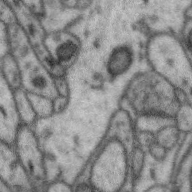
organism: Zebra finch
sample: Brain